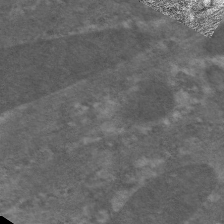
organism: C. elegans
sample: Pharynx